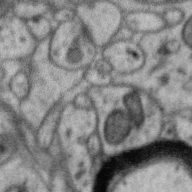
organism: Zebra finch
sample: Brain